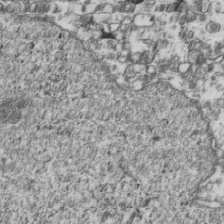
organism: Human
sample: Activated Jurkat CD4+ T cells